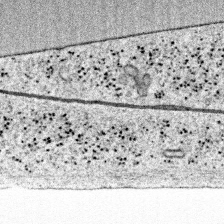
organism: Human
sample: HeLa cells